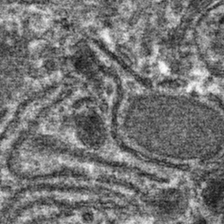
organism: Mouse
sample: Mouse hepatocytes